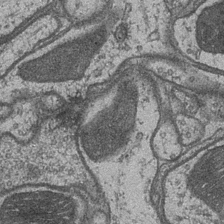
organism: Drosophila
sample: Optic medulla